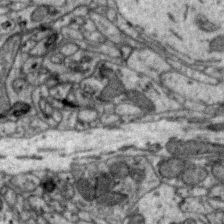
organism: Zebra finch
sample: Brain